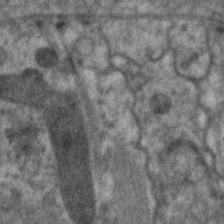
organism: C. elegans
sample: Pharynx